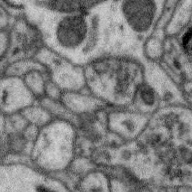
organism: Zebra finch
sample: Brain